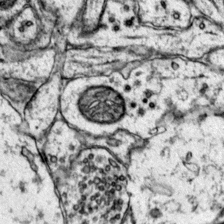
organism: Mouse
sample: Primary visual cortex